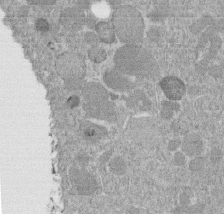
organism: C. elegans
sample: C. elegans embryo early stage